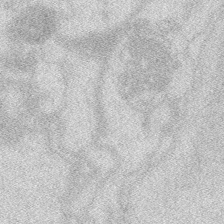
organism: Zebrafish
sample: Macrophage